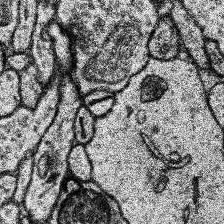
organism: Human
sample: Temporal Lobe